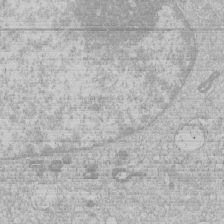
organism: Human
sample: Macrophage cells